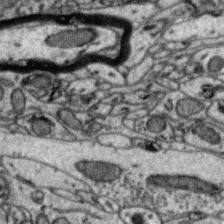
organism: Zebra finch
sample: Brain